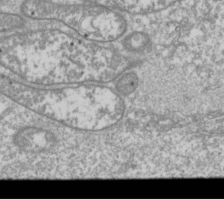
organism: Drosophila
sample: Cell division; meiosis; drosophila spermatocytes